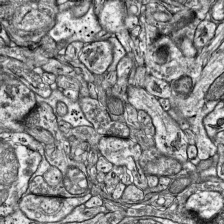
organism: Mouse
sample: Visual Cortex